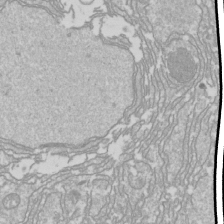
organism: Drosophila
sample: Cell division; meiosis; drosophila spermatocytes